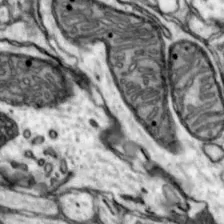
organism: Mouse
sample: Nucleus accumbens